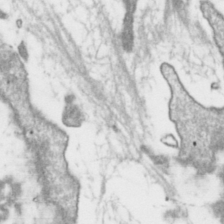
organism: Toxoplasma gondii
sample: Parasites in a vacuole inside a host cell